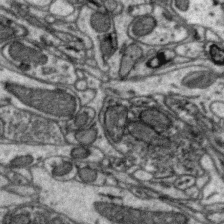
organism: Zebra finch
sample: Brain